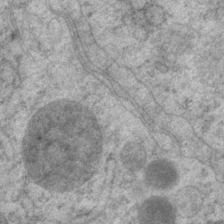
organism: P. pacificus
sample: Pharynx